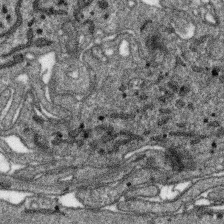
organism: Human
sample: Lung epithelial cells infected with SARS-CoV-2